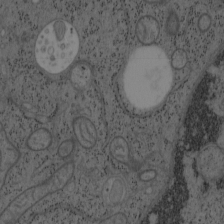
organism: Mouse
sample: OT-I killer T cells with ID8 ovarian cancer cells